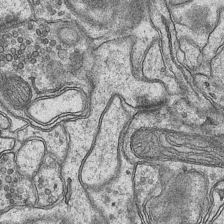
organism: Mouse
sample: CA1 Hippocampus